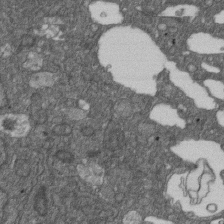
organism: Drosophila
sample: Nephrocyte